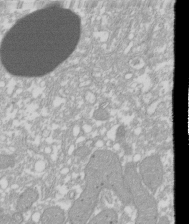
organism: Xenopus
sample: Cilia; centrioles in frog embryo cells